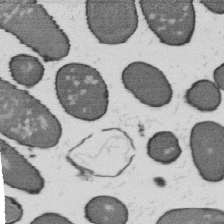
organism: B. subtilis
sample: Bacterial spore